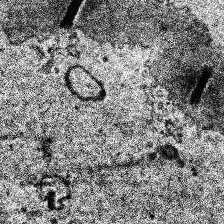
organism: Human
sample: Temporal Lobe